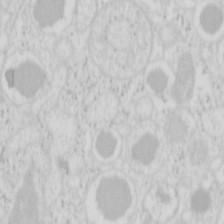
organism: Mouse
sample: Pancreas